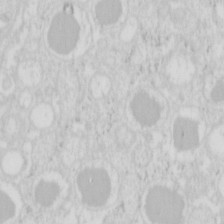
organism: Mouse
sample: Pancreas